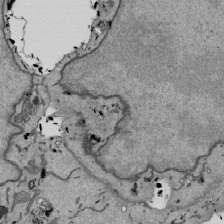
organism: Mouse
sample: ED-1 cell nuclei; centrioles